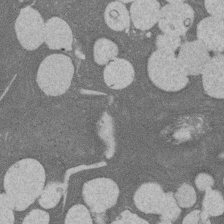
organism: Rat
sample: Salivary granule